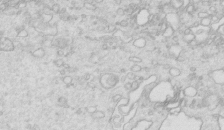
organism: Mouse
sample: Multiciliated cells